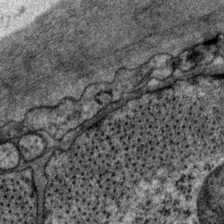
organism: P. pacificus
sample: Pharynx